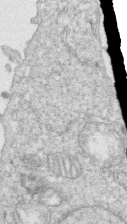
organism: Human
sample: HeLa cell HIV synapse